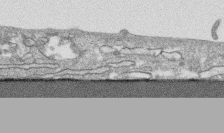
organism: Human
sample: CRL-1474